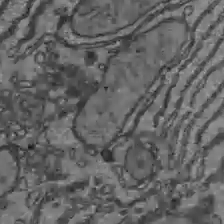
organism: C57BL Mouse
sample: Liver